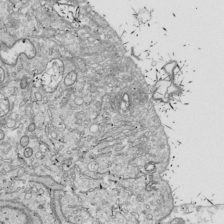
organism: Drosophila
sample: Cell division; meiosis; drosophila spermatocytes